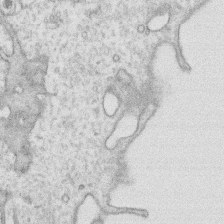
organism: Human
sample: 1205lu cells